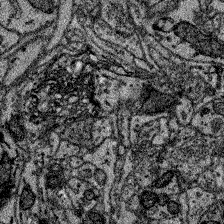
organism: Zebrafish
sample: Larval olfactory bulb